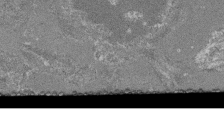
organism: Mouse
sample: Glomerulus